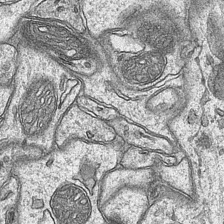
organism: Mouse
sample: CA1 Hippocampus